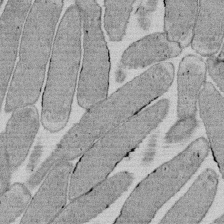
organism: E. coli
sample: Bacterial nucleoid